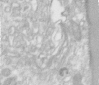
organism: Human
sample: Centriole in RPE cells